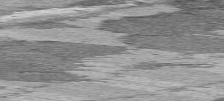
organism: C57BL Mouse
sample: Heart